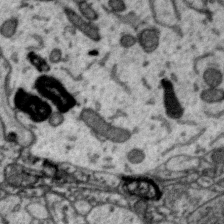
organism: Zebra finch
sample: Brain